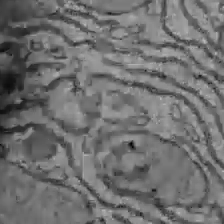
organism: C57BL Mouse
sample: Liver